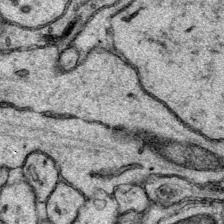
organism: Mouse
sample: Primary visual cortex